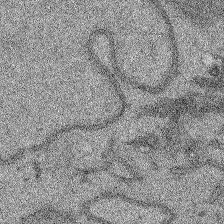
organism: Human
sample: HeLa cells